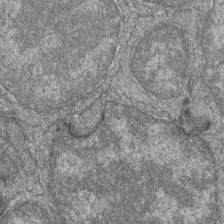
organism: Zebrafish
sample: Cilia; retinal pigment epithelium